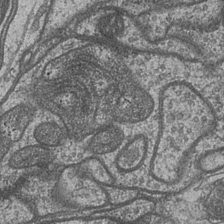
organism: Drosophila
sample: Optic medulla